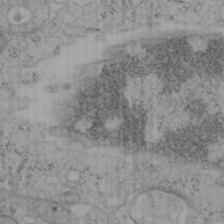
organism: Mouse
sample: OT-I killer T cells with ID8 ovarian cancer cells